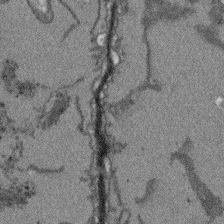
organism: Arabidopsis thaliana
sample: Root tip